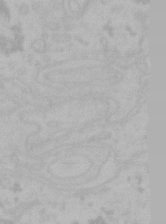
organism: Mouse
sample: Choroid plexus